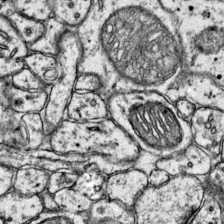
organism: Mouse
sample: Primary visual cortex